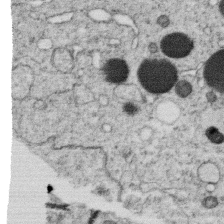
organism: C. elegans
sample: C. elegans oocyte; sperm cells